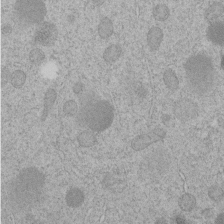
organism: C. elegans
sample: C. elegans embryo early stage